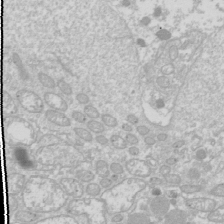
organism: Drosophila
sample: Cell division; meiosis; drosophila spermatocytes